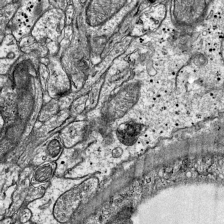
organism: Mouse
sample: Visual Cortex